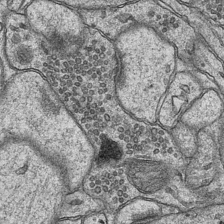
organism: Mouse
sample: CA1 Hippocampus